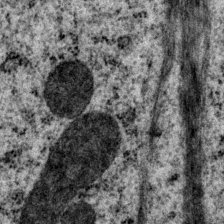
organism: P. pacificus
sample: Pharynx